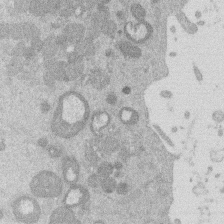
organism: Mouse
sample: Dividing mouse embryo 1 cell stage